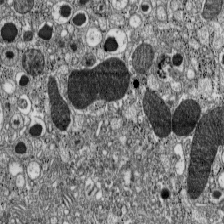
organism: C57BL Mouse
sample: Pancreatic islet